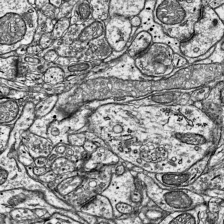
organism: Mouse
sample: Visual Cortex